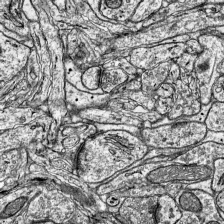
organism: Mouse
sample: Visual Cortex